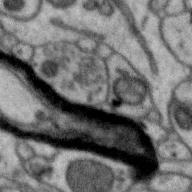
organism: Zebra finch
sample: Brain